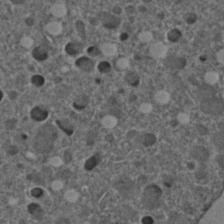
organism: C. elegans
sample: C. elegans embryo